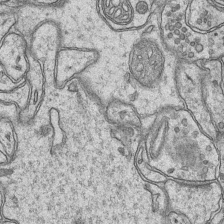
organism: Mouse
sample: CA1 Hippocampus